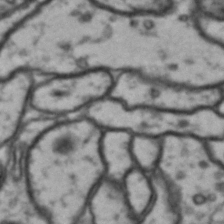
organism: Drosophila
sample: Brain